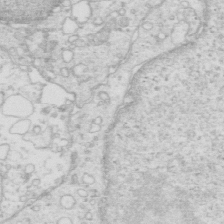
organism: Mouse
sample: Multiciliated cells